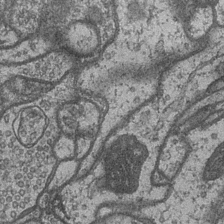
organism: Drosophila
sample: Optic medulla